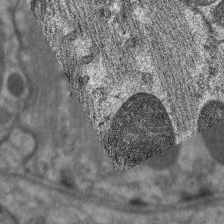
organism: C. elegans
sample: Pharynx